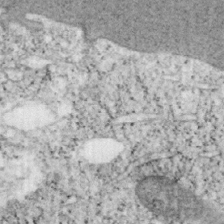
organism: Mouse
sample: OT-I killer T cells with ID8 ovarian cancer cells